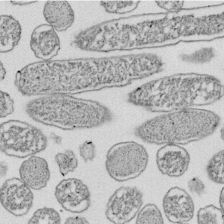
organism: E. coli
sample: Bacterial nucleoid